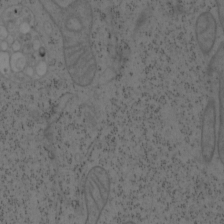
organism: Mouse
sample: OT-I killer T cells with ID8 ovarian cancer cells